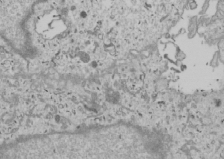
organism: Human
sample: Mitochondria in U2OS cells